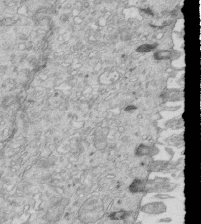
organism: Mouse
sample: Multiciliated cells